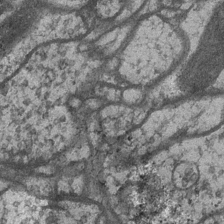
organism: Drosophila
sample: Optic medulla